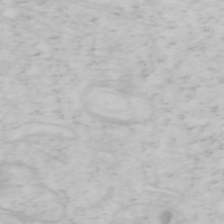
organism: Mouse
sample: OT-I killer T cells with ID8 ovarian cancer cells